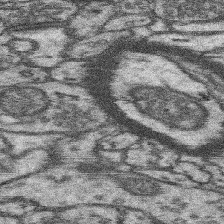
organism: Mouse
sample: Somatosensory cortex neuropil